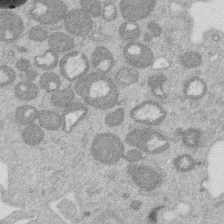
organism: Mouse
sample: Dividing mouse embryo 1 cell stage